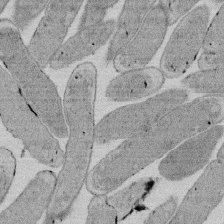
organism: E. coli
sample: Bacterial nucleoid